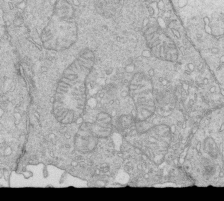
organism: Mouse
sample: Multiciliated cells